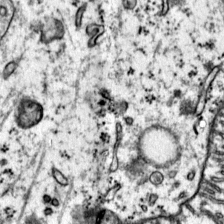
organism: Mouse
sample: Primary visual cortex